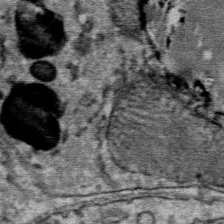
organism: Mouse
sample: Mouse Salivary gland